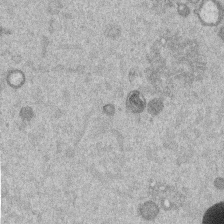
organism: Mouse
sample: Dividing mouse embryo 1 cell stage